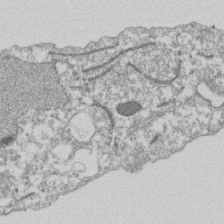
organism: Dictyostelium discoideum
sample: Dictyostelium multivesicular bodies